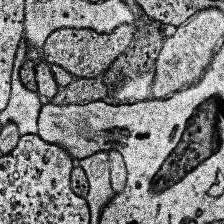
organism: Human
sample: Temporal Lobe